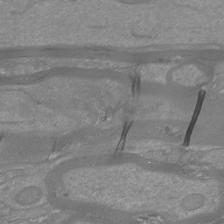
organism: Mouse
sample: Cortical neurons